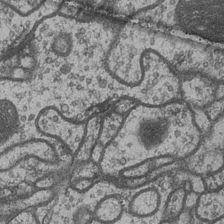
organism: Drosophila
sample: Optic medulla